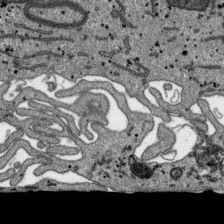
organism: Human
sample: Lung epithelial cells, uninfected (mock) control